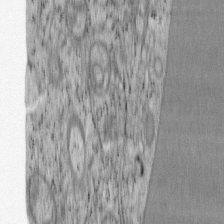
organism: Human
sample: HeLa cells